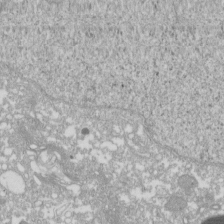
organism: Xenopus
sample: Cilia; centrioles in frog embryo cells